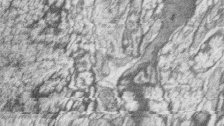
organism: Zebrafish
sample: synaptic ribbons in rod cells and cone cells